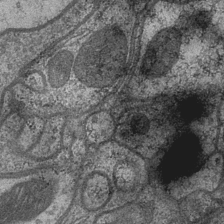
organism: Drosophila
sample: Optic medulla